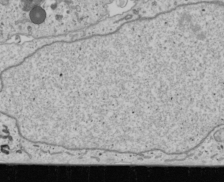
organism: Human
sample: Mitochondria in U2OS cells